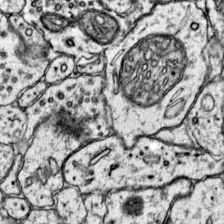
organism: Mouse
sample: Primary visual cortex